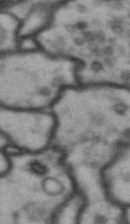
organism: Drosophila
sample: Brain